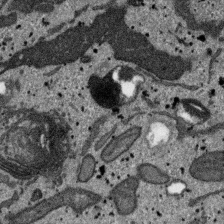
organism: Human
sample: Lung epithelial cells, uninfected (mock) control